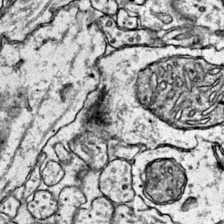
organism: Mouse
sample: Primary visual cortex